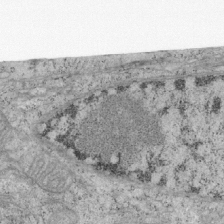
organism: Human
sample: HeLa cells